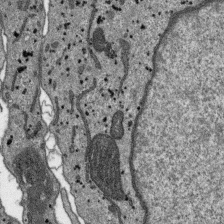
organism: Human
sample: Lung epithelial cells, uninfected (mock) control